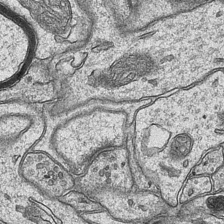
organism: Mouse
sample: CA1 Hippocampus